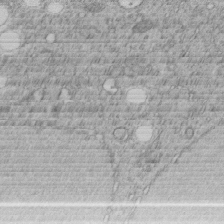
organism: C. elegans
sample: C. elegans embryo early stage